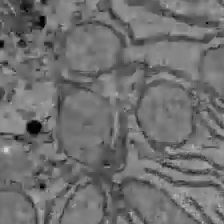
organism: C57BL Mouse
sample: Liver